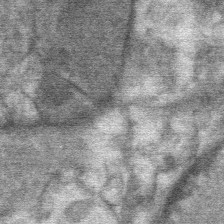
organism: Mouse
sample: Mouse Salivary gland